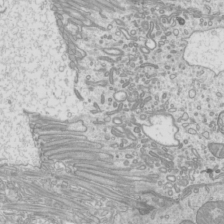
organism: Mouse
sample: Cilia; mouse epididymis